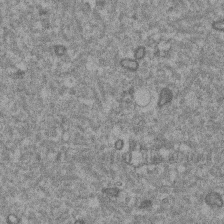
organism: Mouse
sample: Dividing mouse embryo 1 cell stage